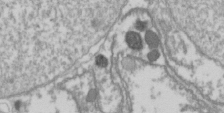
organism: Drosophila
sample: Cell division; meiosis; drosophila spermatocytes